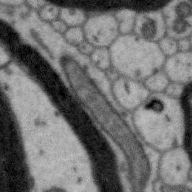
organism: Zebra finch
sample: Brain